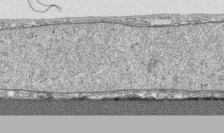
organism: Human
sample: CRL-1474